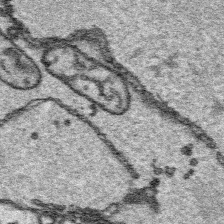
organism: Platynereis dumerilii